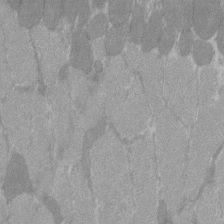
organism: C57BL Mouse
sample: Tibialis anterior muscle cell